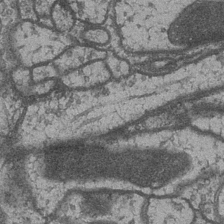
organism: Drosophila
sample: Optic medulla